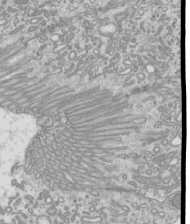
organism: Mouse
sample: Cilia; mouse epididymis